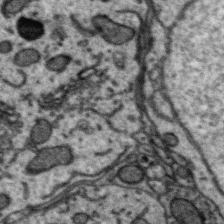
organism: Zebra finch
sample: Brain